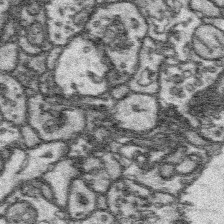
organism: Platynereis dumerilii